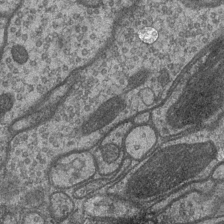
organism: Drosophila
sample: Optic medulla